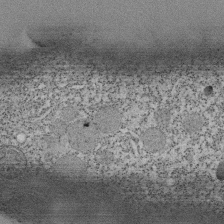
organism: Tetrahymena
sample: Cilia in tetrahymena